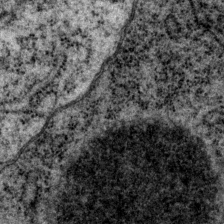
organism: P. pacificus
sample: Pharynx